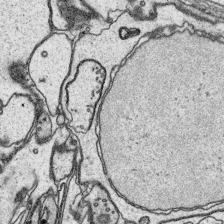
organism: Platynereis dumerilii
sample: Parapodia